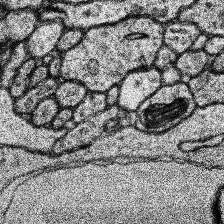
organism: Human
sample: Temporal Lobe